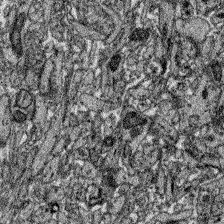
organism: Zebrafish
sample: Larval olfactory bulb